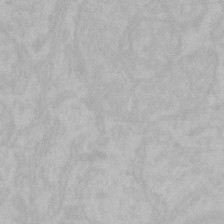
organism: Mouse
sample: Choroid plexus